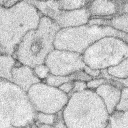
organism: Rabbit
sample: Retina